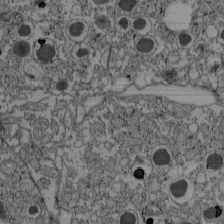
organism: C57BL Mouse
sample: Pancreatic islet